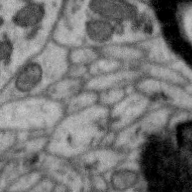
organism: Zebra finch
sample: Brain